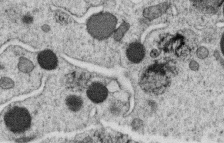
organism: C. elegans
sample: C. elegans oocyte; sperm cells